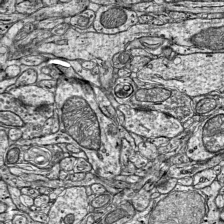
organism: Mouse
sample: Visual Cortex